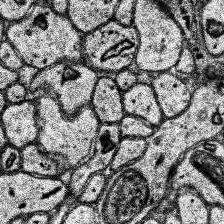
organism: Human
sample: Temporal Lobe